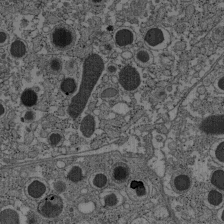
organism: C57BL Mouse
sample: Pancreatic islet